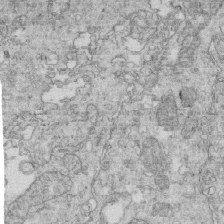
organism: Mouse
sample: Multiciliated cells